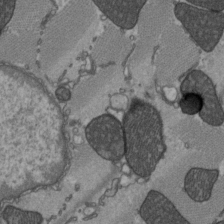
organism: C57BL Mouse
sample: Heart